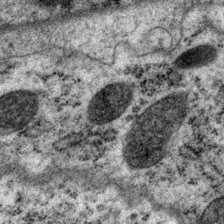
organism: P. pacificus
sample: Pharynx